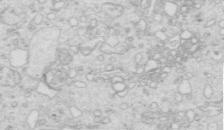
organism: Mouse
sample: Multiciliated cells